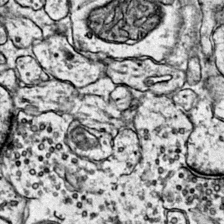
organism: Mouse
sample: Primary visual cortex